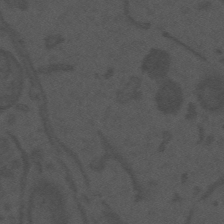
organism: Mouse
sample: Suprachiasmatic nucleus